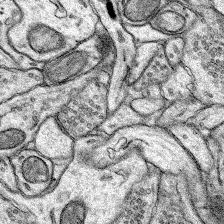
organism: Rat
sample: Hippocampus